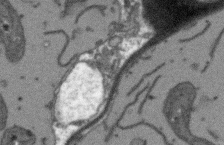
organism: Arabidopsis thaliana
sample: Root tip